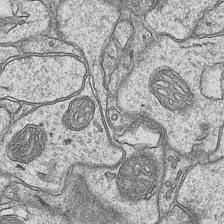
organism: Mouse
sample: CA1 Hippocampus